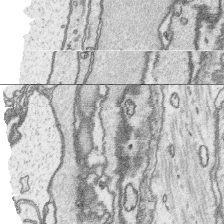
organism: Platynereis dumerilii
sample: Parapodia